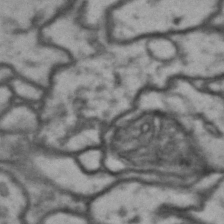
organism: Drosophila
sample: Brain